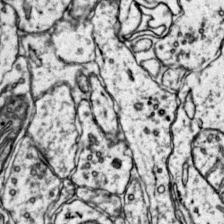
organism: Mouse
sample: Primary visual cortex